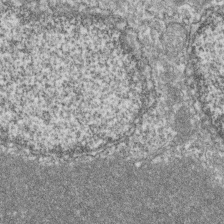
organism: Zebrafish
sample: Cilia; retinal pigment epithelium